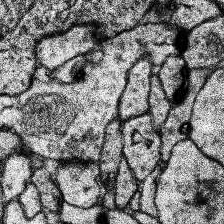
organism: Human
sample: Temporal Lobe